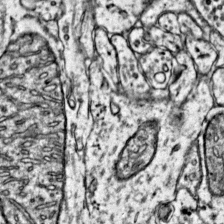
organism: Mouse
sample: Primary visual cortex